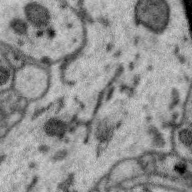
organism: Zebra finch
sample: Brain